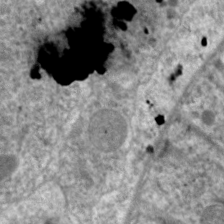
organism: C. elegans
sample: Pharynx